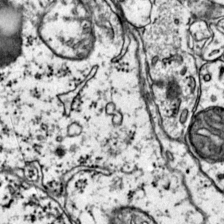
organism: Mouse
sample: Primary visual cortex